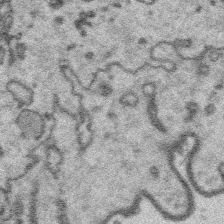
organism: Platynereis dumerilii